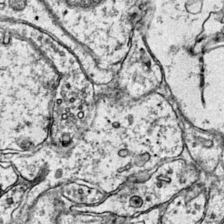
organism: Mouse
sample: Primary visual cortex